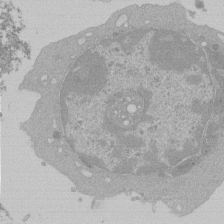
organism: Mouse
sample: Activated Pmel transgenic CD8+ T Cells